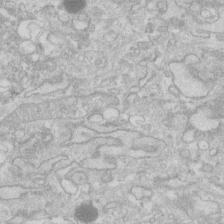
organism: Human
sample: Fibroblast cells